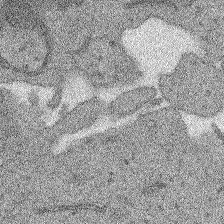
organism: Human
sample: HeLa cells